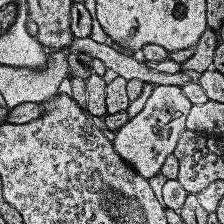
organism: Human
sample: Temporal Lobe